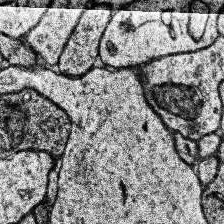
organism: Human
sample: Temporal Lobe